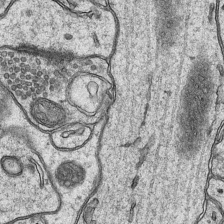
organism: Mouse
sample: CA1 Hippocampus